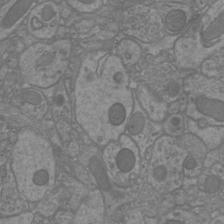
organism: Mouse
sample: Cortical neurons